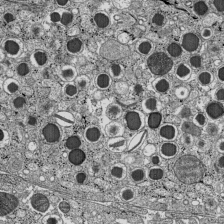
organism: C57BL Mouse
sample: Pancreatic islet